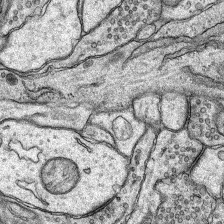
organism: Rat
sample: Hippocampus